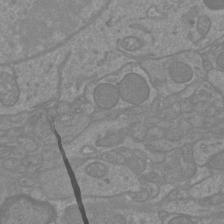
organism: Mouse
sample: Cortical neurons